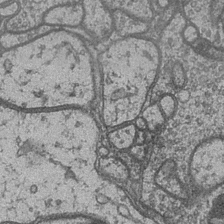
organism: Drosophila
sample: Optic medulla